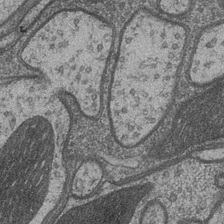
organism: Drosophila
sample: Optic medulla